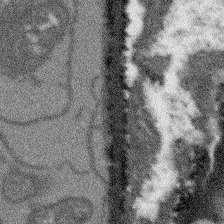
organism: Arabidopsis thaliana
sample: Root tip